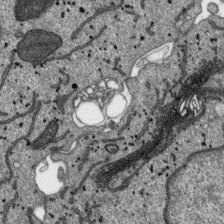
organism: Human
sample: Lung epithelial cells, uninfected (mock) control